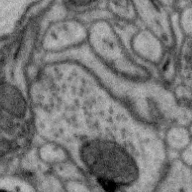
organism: Zebra finch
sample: Brain